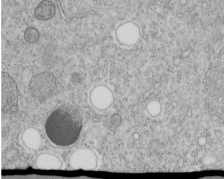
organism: C. elegans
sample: C. elegans embryo early stage